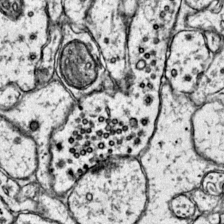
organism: Mouse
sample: Primary visual cortex